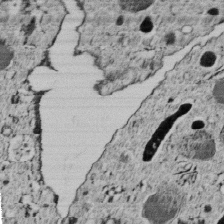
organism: C. elegans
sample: C. elegans embryo early stage